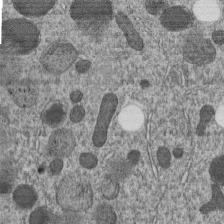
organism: C. elegans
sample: C. elegans embryo early stage